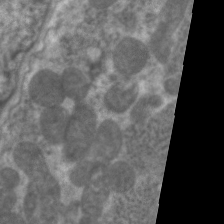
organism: C. elegans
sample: Pharynx